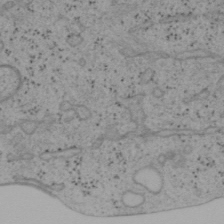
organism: Human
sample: HeLa cells